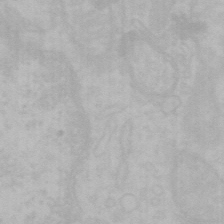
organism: Mouse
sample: Choroid plexus